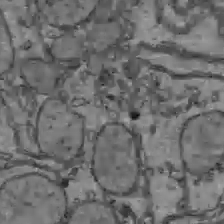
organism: C57BL Mouse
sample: Liver